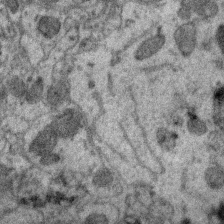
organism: Zebra finch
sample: Brain